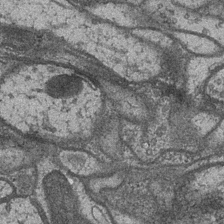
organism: Drosophila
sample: Optic medulla